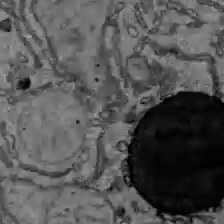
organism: C57BL Mouse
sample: Liver